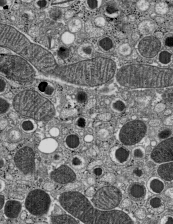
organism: C57BL Mouse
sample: Pancreatic islet